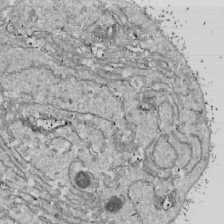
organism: Drosophila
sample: Cell division; meiosis; drosophila spermatocytes